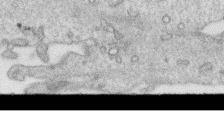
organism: Human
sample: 1205lu cells